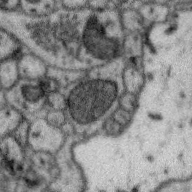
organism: Zebra finch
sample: Brain